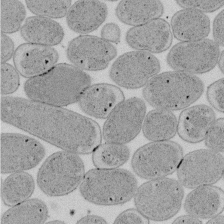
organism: E. coli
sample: Bacterial nucleoid